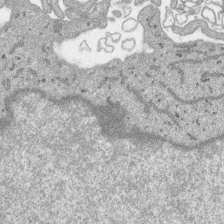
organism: Human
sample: Lung epithelial cells infected with SARS-CoV-2